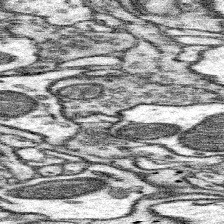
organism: Mouse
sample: Somatosensory cortex neuropil